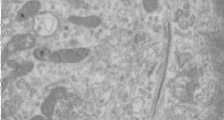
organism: Human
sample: Cilia; basal body in RPE cells